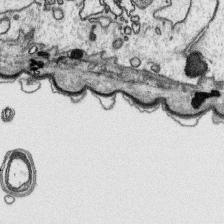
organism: Platynereis dumerilii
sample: Parapodia